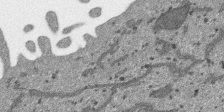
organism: Human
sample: Lung epithelial cells infected with SARS-CoV-2